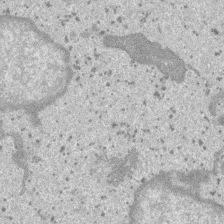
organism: Human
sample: Lung epithelial cells infected with SARS-CoV-2